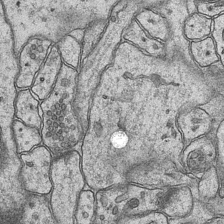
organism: Mouse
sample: CA1 Hippocampus